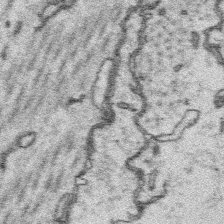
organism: Platynereis dumerilii